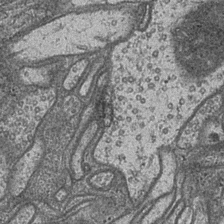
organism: Drosophila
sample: Optic medulla